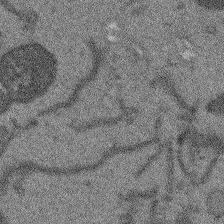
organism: Arabidopsis thaliana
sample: Root tip